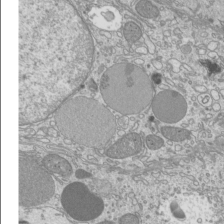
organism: Mouse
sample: Cilia; mouse epididymis